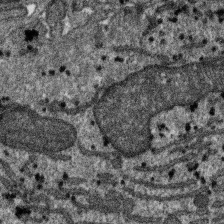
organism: Human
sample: Lung epithelial cells infected with SARS-CoV-2